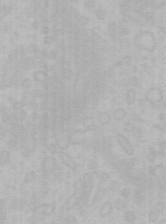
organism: Mouse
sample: Choroid plexus